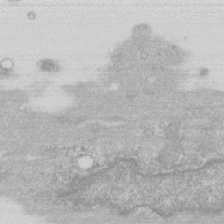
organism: Human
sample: Fibroblast cells